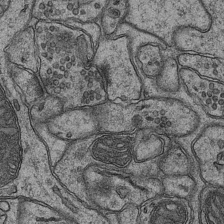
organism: Mouse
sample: CA1 Hippocampus